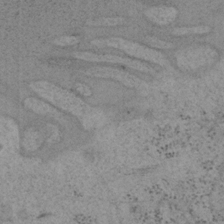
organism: Mouse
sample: OT-I killer T cells with ID8 ovarian cancer cells